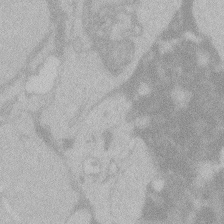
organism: Zebrafish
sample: Macrophage infected with Toxoplasma gondii